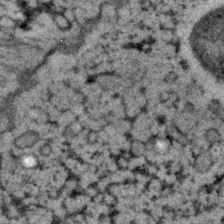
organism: C. elegans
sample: C. elegans embryo